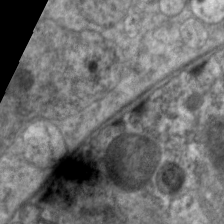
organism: C. elegans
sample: Pharynx